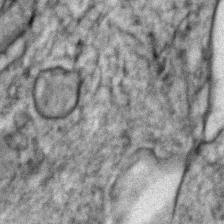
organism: Zebrafish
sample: Zebrafish embryo